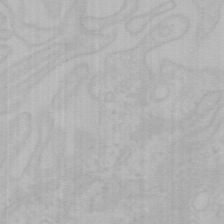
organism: Mouse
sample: Choroid plexus